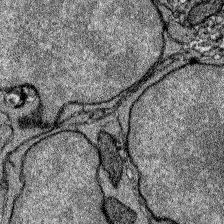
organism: Zebrafish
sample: Larval olfactory bulb